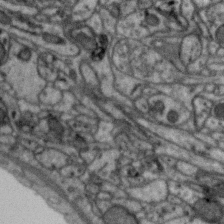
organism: Zebra finch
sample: Brain